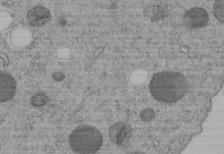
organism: C. elegans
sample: C. elegans embryo early stage